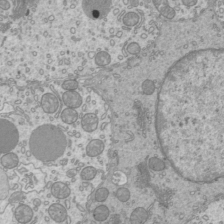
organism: Mouse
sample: Cilia; mouse epididymis